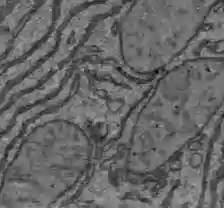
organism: C57BL Mouse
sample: Liver